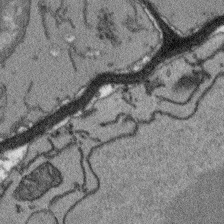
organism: Arabidopsis thaliana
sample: Root tip